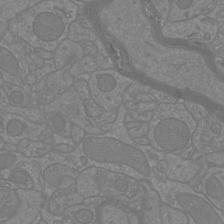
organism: Mouse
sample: Cortical neurons